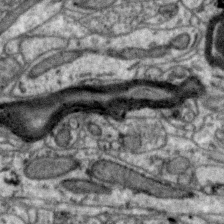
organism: Zebra finch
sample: Brain